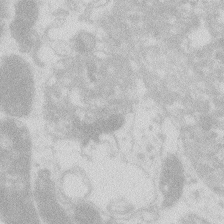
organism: Zebrafish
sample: Macrophage